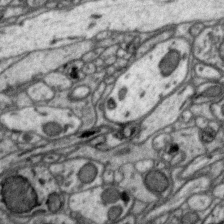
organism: Zebra finch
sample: Brain